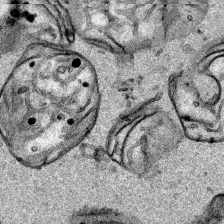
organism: Human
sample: Mitochondria in HCT116 cells